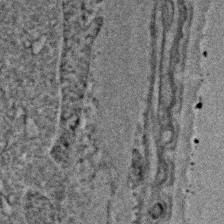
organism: C. elegans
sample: C. elegans embryo